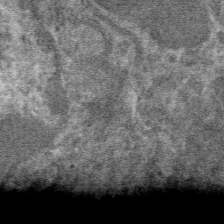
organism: Mouse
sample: Mouse hepatocytes